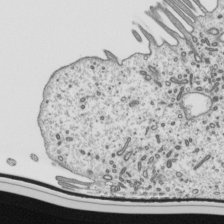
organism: Mouse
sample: Mouse epididymis efferent ductule cilia